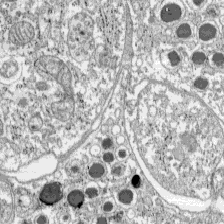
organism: C57BL Mouse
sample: Pancreatic islet